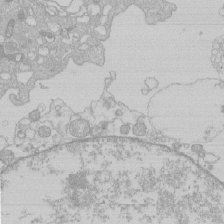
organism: Human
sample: Macrophage cells